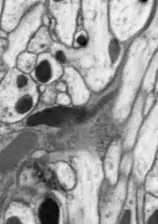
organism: Drosophila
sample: Optic lobe